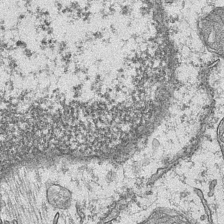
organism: Mouse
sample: CA1 Hippocampus